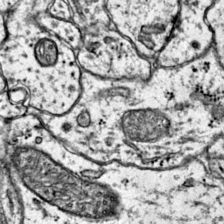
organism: Mouse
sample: Primary visual cortex